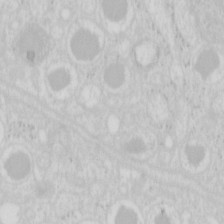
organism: Mouse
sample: Pancreas